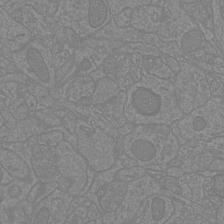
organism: Mouse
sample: Cortical neurons